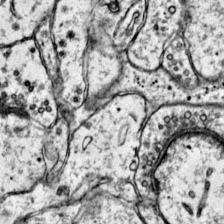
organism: Mouse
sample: Primary visual cortex